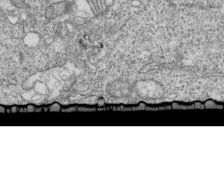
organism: Human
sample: HeLa cell HIV synapse